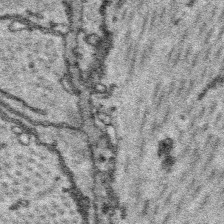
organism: Platynereis dumerilii